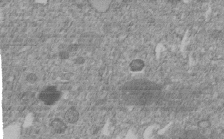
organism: C. elegans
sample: C. elegans embryo early stage